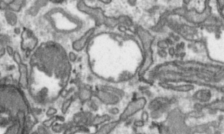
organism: Toxoplasma gondii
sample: Parasites in a vacuole inside a host cell